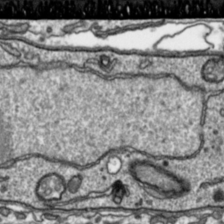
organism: Toxoplasma gondii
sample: Parasites in a vacuole inside a host cell